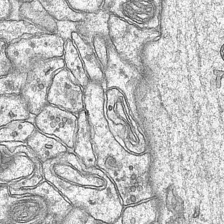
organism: Mouse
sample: CA1 Hippocampus